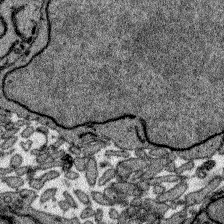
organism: Zebrafish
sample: Larval olfactory bulb